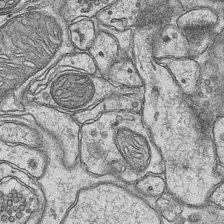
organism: Mouse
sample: CA1 Hippocampus